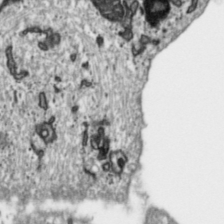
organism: Toxoplasma gondii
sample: Parasites in a vacuole inside a host cell